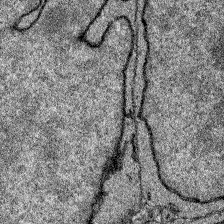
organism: Zebrafish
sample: Larval olfactory bulb